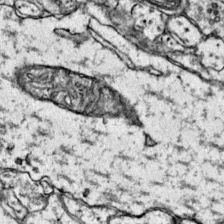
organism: Mouse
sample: Primary visual cortex